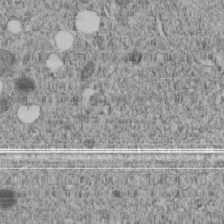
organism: C. elegans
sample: C. elegans embryo early stage